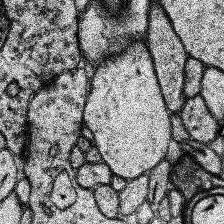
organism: Human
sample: Temporal Lobe